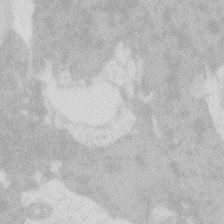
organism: Zebrafish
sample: Macrophage